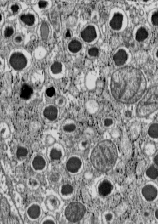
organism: C57BL Mouse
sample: Pancreatic islet